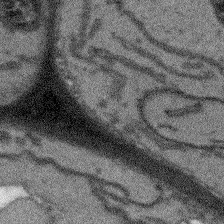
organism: Arabidopsis thaliana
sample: Root tip